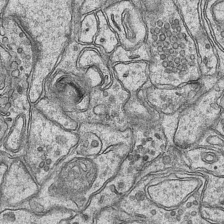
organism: Mouse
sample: CA1 Hippocampus